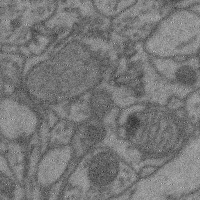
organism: Mouse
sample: Cerebral cortex